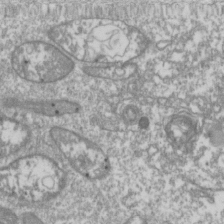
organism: Drosophila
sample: Cell division; meiosis; drosophila spermatocytes